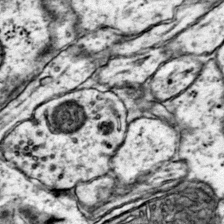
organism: Mouse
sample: Primary visual cortex